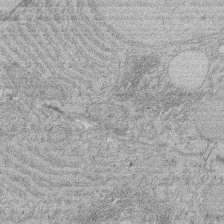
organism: Rat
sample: Salivary granule